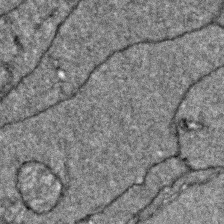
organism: Zebrafish